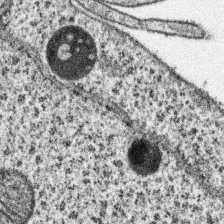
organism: Human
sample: HeLa cells